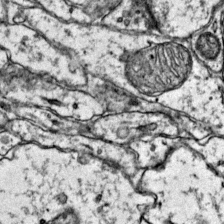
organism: Mouse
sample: Primary visual cortex